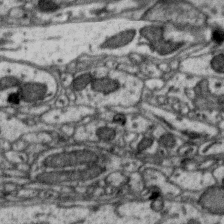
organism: Zebra finch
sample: Brain